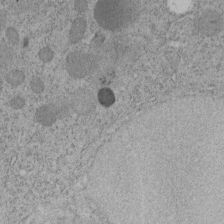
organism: C. elegans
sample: C. elegans embryo early stage